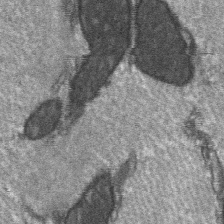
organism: C57BL Mouse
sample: Soleus